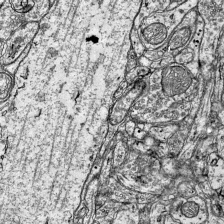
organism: Mouse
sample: Visual Cortex